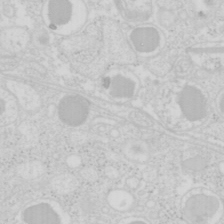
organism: Mouse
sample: Pancreas